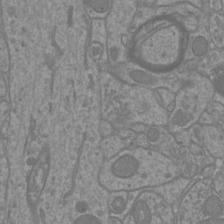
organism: Mouse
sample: Cortical neurons